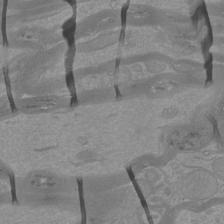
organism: Mouse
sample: Cortical neurons